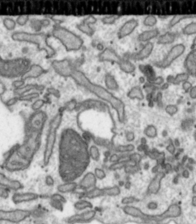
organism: Toxoplasma gondii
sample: Parasites in a vacuole inside a host cell